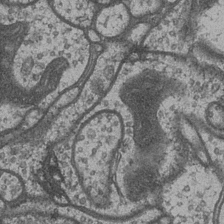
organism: Drosophila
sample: Optic medulla